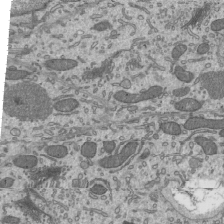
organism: Mouse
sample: Mouse epididymis efferent ductule cilia